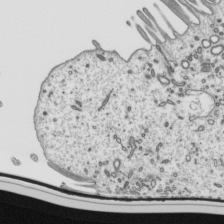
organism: Mouse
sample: Mouse epididymis efferent ductule cilia